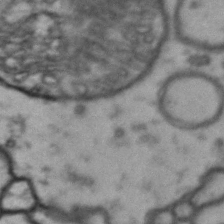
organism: Drosophila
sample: Brain